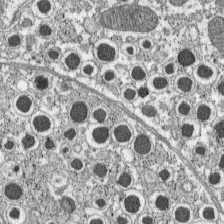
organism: C57BL Mouse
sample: Pancreatic islet